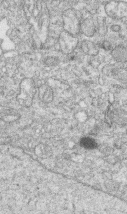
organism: Human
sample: HeLa cell HIV synapse